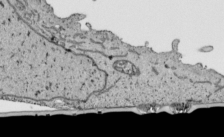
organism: Human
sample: Mitochondria in HCT116 cells